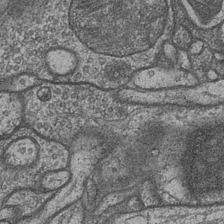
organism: Drosophila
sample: Optic medulla